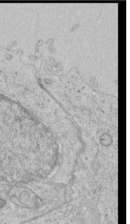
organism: Human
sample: Mitochondria in HCT116 cells